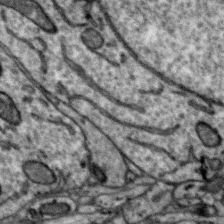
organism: Zebra finch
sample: Brain